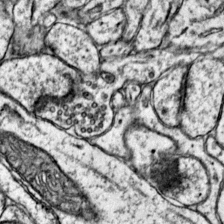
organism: Mouse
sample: Primary visual cortex